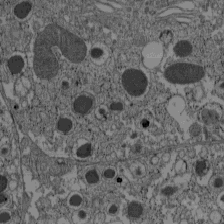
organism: C57BL Mouse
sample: Pancreatic islet